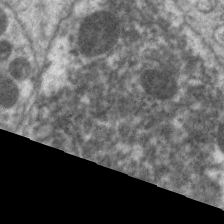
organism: C. elegans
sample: Pharynx